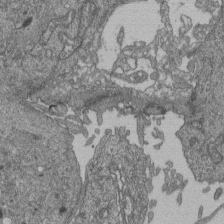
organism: Human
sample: Retinal organoid Rod and Cone cells